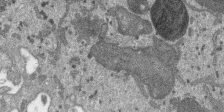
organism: Human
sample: Lung epithelial cells infected with SARS-CoV-2